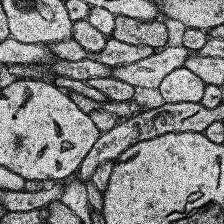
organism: Human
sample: Temporal Lobe